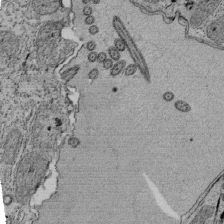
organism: Tetrahymena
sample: Cilia in tetrahymena